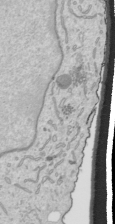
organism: Human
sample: Mitochondria in HCT116 cells